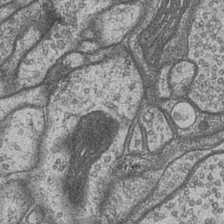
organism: Drosophila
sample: Optic medulla